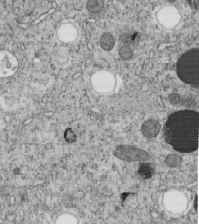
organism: C. elegans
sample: C. elegans embryo early stage